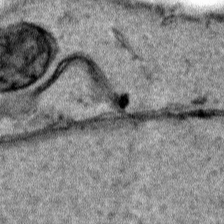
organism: Human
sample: Mitochondria in HCT116 cells